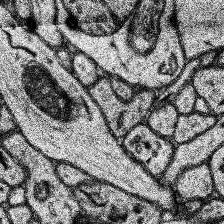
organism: Human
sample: Temporal Lobe